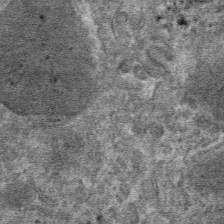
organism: Mouse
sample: Mouse hepatocytes